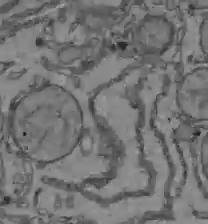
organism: C57BL Mouse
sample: Liver